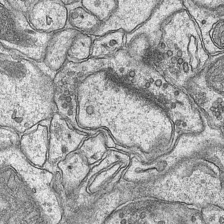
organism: Mouse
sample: CA1 Hippocampus